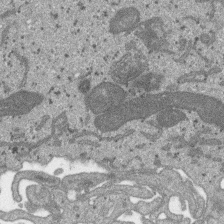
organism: Human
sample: Lung epithelial cells infected with SARS-CoV-2